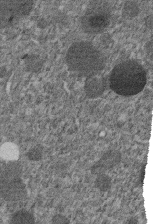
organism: C. elegans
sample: C. elegans embryo early stage